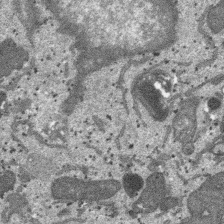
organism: Human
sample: Lung epithelial cells infected with SARS-CoV-2